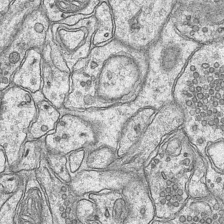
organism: Mouse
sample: CA1 Hippocampus